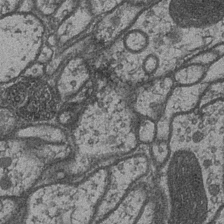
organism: Drosophila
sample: Optic medulla